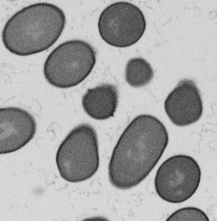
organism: B. subtilis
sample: Bacterial spore